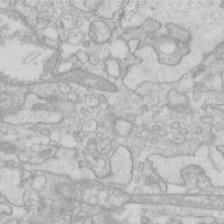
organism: Human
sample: Fibroblast cells